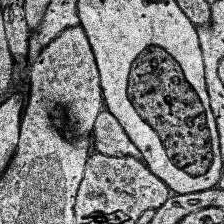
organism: Human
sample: Temporal Lobe